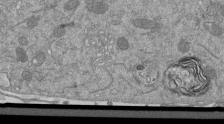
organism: Mouse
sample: ED-1 cell nuclei; centrioles